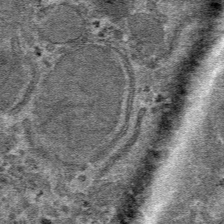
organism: Mouse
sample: Mouse hepatocytes